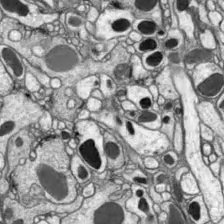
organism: Drosophila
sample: Optic lobe